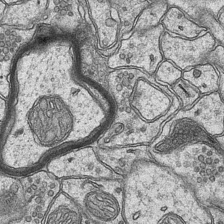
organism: Mouse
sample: CA1 Hippocampus